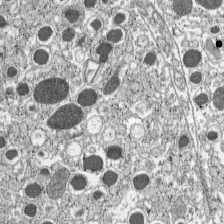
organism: C57BL Mouse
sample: Pancreatic islet